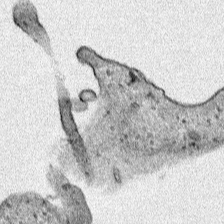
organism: Human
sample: Mitochondria in HCT116 cells